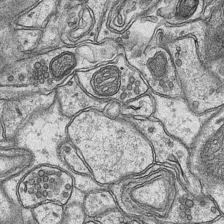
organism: Mouse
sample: CA1 Hippocampus